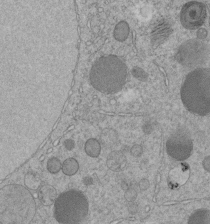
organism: C. elegans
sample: C. elegans embryo early stage